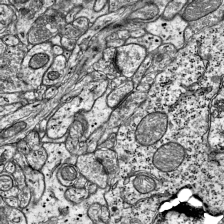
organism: Mouse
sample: Visual Cortex